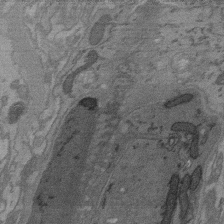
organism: C. elegans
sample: AFD neurons C. elegans